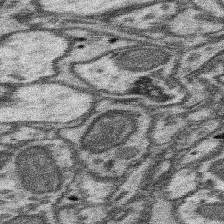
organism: Mouse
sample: Somatosensory cortex neuropil